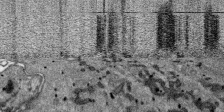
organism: Human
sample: Lung epithelial cells, uninfected (mock) control